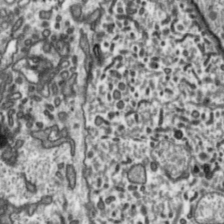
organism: Toxoplasma gondii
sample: Parasites in a vacuole inside a host cell